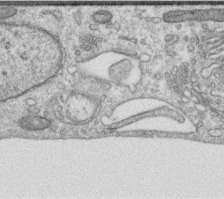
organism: Human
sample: Centriole in RPE cells